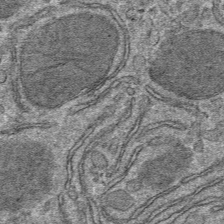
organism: Mouse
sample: Mouse hepatocytes